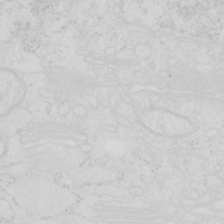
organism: Human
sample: SUM-159 cell